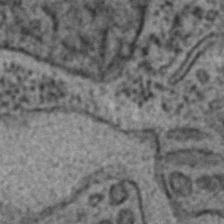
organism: C. elegans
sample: C. elegans embryo